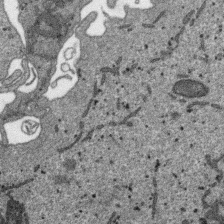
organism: Human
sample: Lung epithelial cells infected with SARS-CoV-2